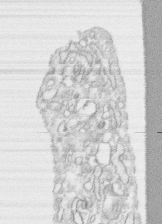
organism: Human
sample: CRL-1474